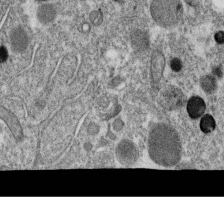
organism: C. elegans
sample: C. elegans oocyte; sperm cells